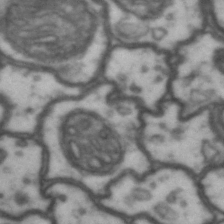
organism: Drosophila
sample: Brain